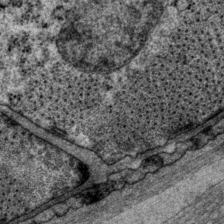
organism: P. pacificus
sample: Pharynx